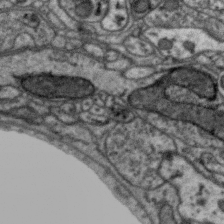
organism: Zebra finch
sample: Brain